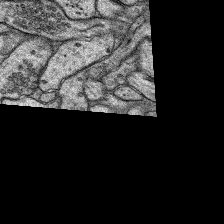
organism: Rat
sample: Hippocampus